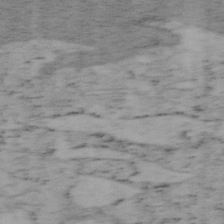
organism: Mouse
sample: OT-I killer T cells with ID8 ovarian cancer cells